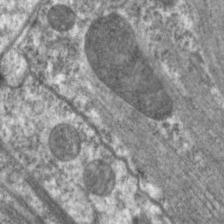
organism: C. elegans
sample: Pharynx